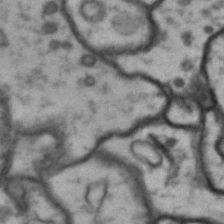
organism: Drosophila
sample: Brain